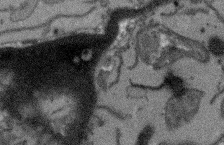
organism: Arabidopsis thaliana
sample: Root tip